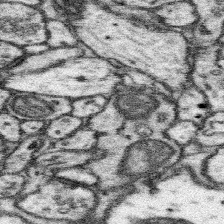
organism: Mouse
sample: Somatosensory cortex neuropil